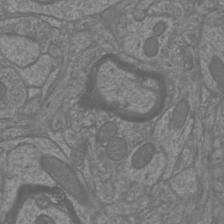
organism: Mouse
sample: Cortical neurons